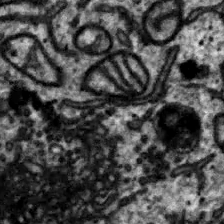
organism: Human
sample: HeLa cells